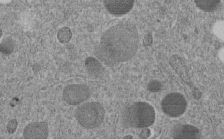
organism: C. elegans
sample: C. elegans embryo early stage